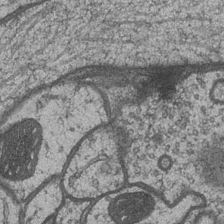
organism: Drosophila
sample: Optic medulla